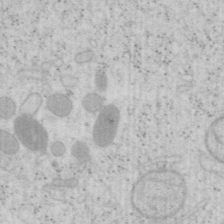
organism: Human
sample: HeLa cells